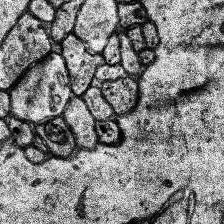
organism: Human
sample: Temporal Lobe